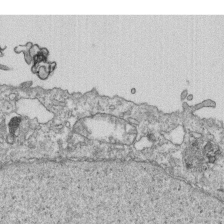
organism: Human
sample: HeLa cell HIV synapse